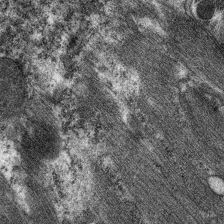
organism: C. elegans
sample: Pharynx